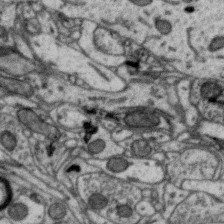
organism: Zebra finch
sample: Brain